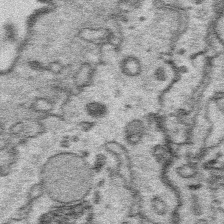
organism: Platynereis dumerilii